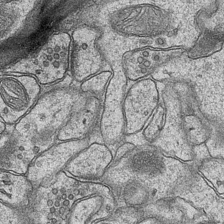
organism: Mouse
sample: CA1 Hippocampus